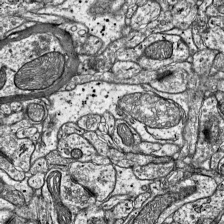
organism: Mouse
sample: Visual Cortex